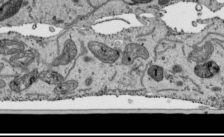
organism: Human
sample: Mitochondria in HCT116 cells